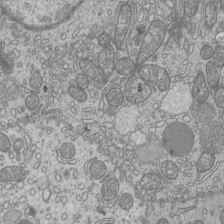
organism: Mouse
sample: Cilia; mouse epididymis